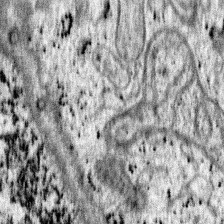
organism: Human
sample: HeLa cells